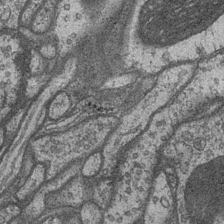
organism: Drosophila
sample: Optic medulla